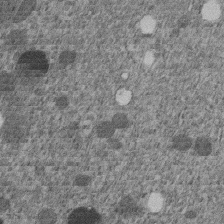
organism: C. elegans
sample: C. elegans embryo early stage